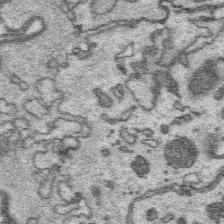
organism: Platynereis dumerilii